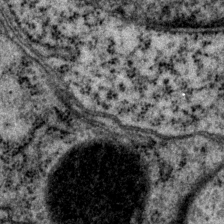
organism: P. pacificus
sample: Pharynx